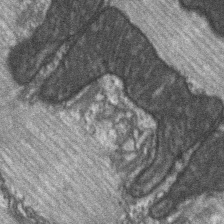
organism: C57BL Mouse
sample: Soleus